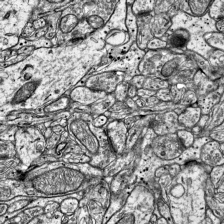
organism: Mouse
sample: Visual Cortex